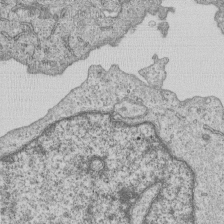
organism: Human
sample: MDA-MB-231 cells